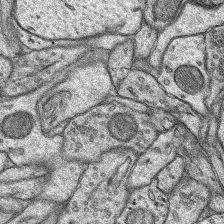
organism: Rat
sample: Hippocampus